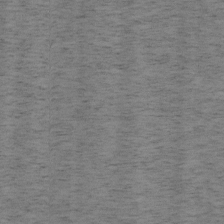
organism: Mouse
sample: OT-I killer T cells with ID8 ovarian cancer cells